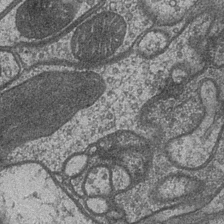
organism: Drosophila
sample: Optic medulla